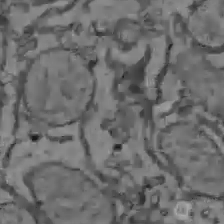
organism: C57BL Mouse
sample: Liver